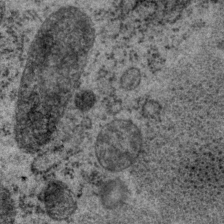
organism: P. pacificus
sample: Pharynx